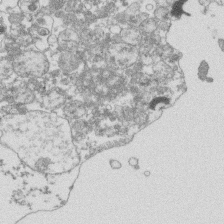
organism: Human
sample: HeLa cell HIV synapse